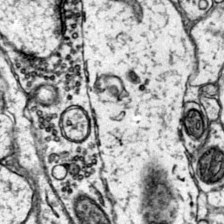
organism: Mouse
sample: Primary visual cortex